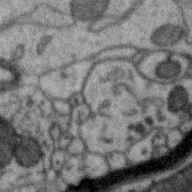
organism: Zebra finch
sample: Brain